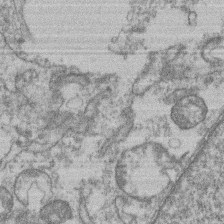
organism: Mouse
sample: T cell stromal cell synapse